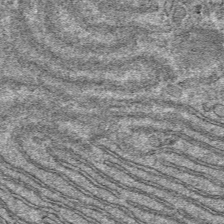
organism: Mouse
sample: Mouse hepatocytes